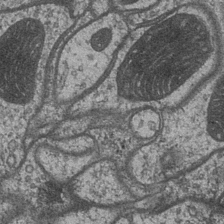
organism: Drosophila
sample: Optic medulla